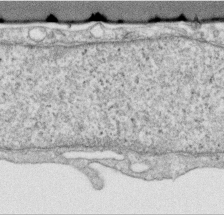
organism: Human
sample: Centriole in RPE cells